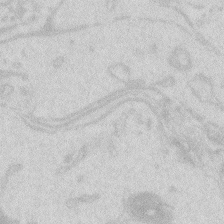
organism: Zebrafish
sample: Macrophage